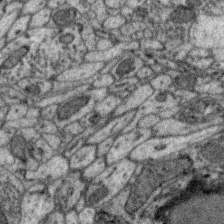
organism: Zebra finch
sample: Brain